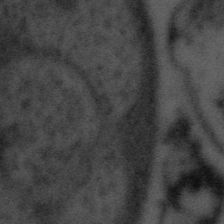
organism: Tuwongella immobilis